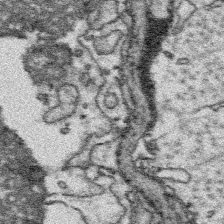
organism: Platynereis dumerilii